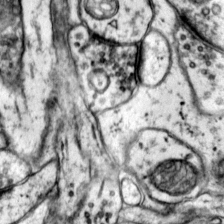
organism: Mouse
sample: Primary visual cortex